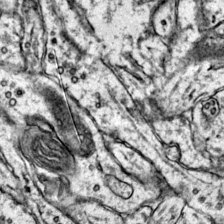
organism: Mouse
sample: Primary visual cortex